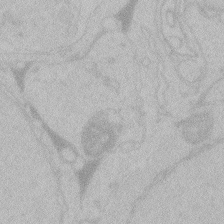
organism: Zebrafish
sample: Macrophage infected with Toxoplasma gondii